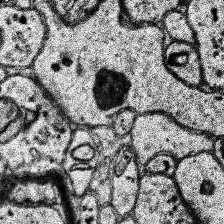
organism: Human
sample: Temporal Lobe